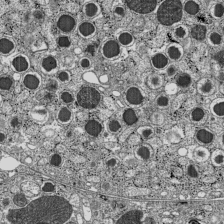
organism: C57BL Mouse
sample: Pancreatic islet